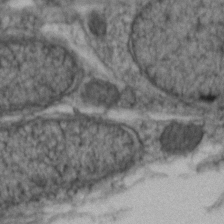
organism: Zebrafish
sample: Zebrafish embryo